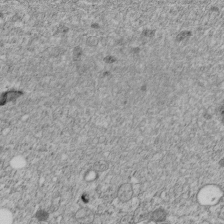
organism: C. elegans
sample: C. elegans embryo early stage